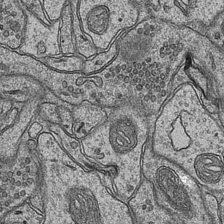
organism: Mouse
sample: CA1 Hippocampus